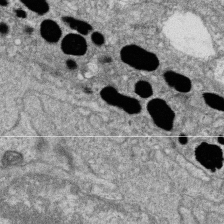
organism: Zebrafish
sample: Cilia; retinal pigment epithelium